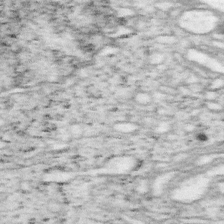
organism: Mouse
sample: OT-I killer T cells with ID8 ovarian cancer cells